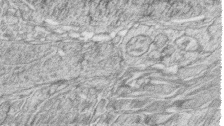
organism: Zebrafish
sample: synaptic ribbons in rod cells and cone cells